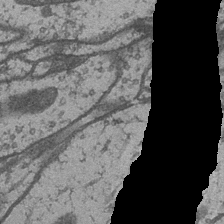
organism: Drosophila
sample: Optic medulla